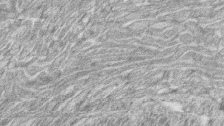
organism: Zebrafish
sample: synaptic ribbons in rod cells and cone cells